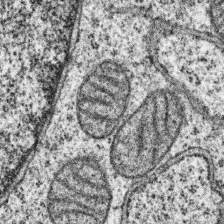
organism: Human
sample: HeLa cells